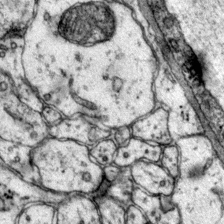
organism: Mouse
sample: Primary visual cortex